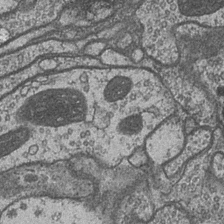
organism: Drosophila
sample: Optic medulla